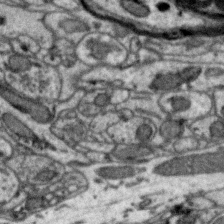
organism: Zebra finch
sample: Brain